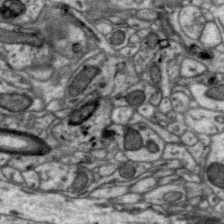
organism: Zebra finch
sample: Brain